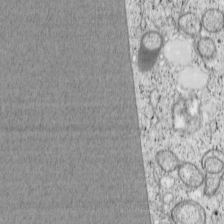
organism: African green monkey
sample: COS-7 cells